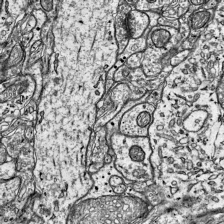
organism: Mouse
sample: Visual Cortex